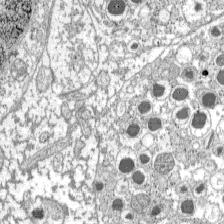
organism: C57BL Mouse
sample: Pancreatic islet